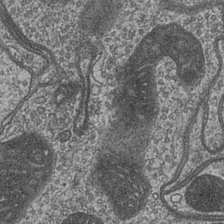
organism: Drosophila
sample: Optic medulla